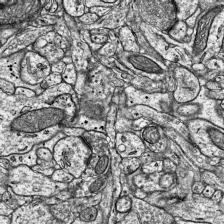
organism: Mouse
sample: Visual Cortex